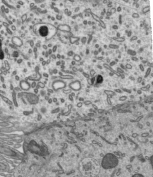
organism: Mouse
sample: Mouse epididymis efferent ductule cilia